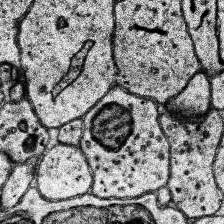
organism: Human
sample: Temporal Lobe